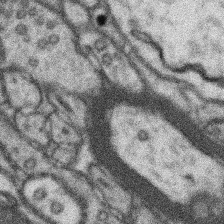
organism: Mouse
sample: Somatosensory cortex neuropil